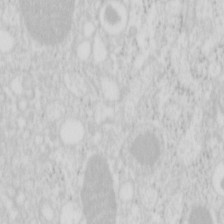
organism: Mouse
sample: Pancreas